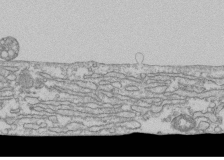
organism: Human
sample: Fibroblast cells